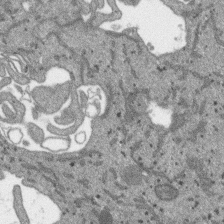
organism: Human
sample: Lung epithelial cells infected with SARS-CoV-2